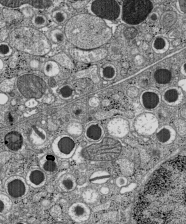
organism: C57BL Mouse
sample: Pancreatic islet